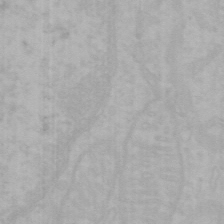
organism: Mouse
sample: Choroid plexus